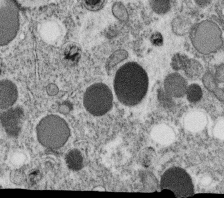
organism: C. elegans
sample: C. elegans oocyte; sperm cells